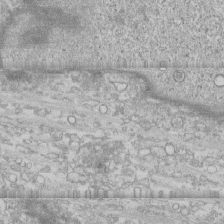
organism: Human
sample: CRL-1474